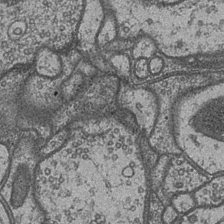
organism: Drosophila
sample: Optic medulla